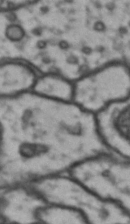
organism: Drosophila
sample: Brain